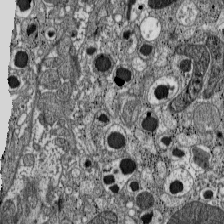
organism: C57BL Mouse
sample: Pancreatic islet